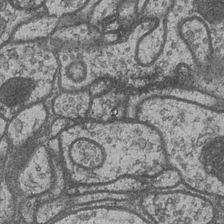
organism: Drosophila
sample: Optic medulla